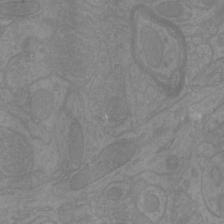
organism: Mouse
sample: Cortical neurons